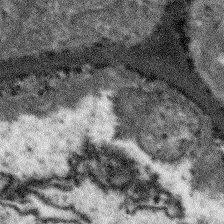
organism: Arabidopsis thaliana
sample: Root tip